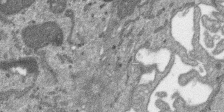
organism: Human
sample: Lung epithelial cells infected with SARS-CoV-2